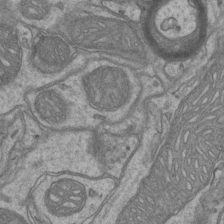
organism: Mouse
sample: CA1 Hippocampus